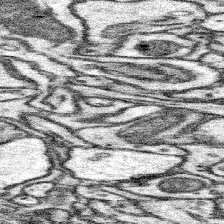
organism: Mouse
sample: Somatosensory cortex neuropil